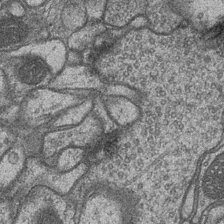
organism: Drosophila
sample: Optic medulla